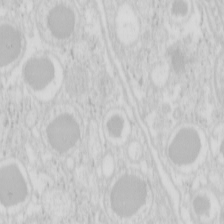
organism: Mouse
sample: Pancreas